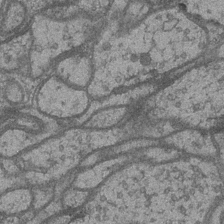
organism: Drosophila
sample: Optic medulla